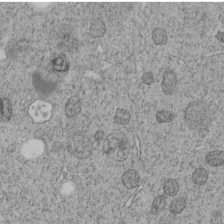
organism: C. elegans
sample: C. elegans embryo early stage